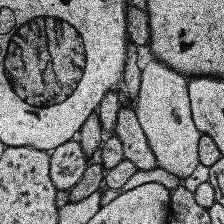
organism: Human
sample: Temporal Lobe